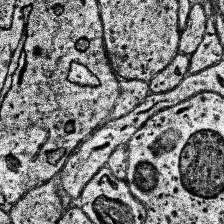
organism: Human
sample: Temporal Lobe